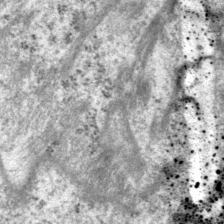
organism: P. pacificus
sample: Pharynx